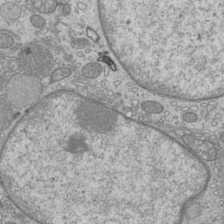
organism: Mouse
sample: Cilia; mouse epididymis